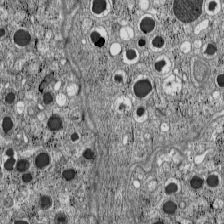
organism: C57BL Mouse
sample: Pancreatic islet